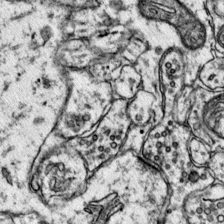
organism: Mouse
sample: Primary visual cortex